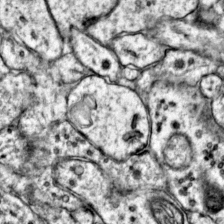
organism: Mouse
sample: Primary visual cortex